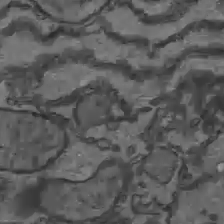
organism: C57BL Mouse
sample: Liver